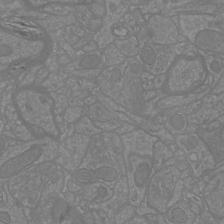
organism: Mouse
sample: Cortical neurons